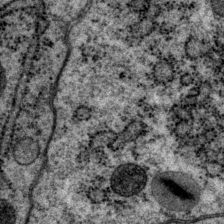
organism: P. pacificus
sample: Pharynx